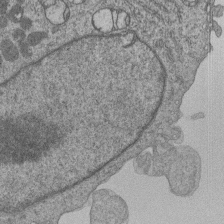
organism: Human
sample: MDA-MB-231 cells